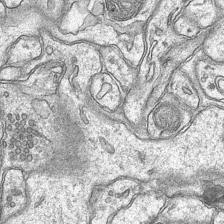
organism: Mouse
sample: CA1 Hippocampus